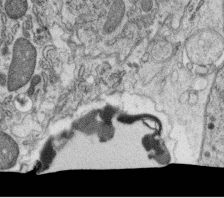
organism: C. elegans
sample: C. elegans oocyte; sperm cells